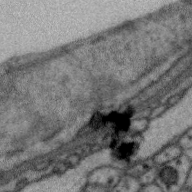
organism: Zebra finch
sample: Brain